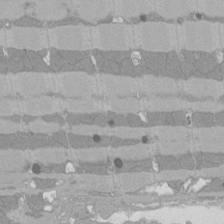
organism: Rat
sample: Left ventricle